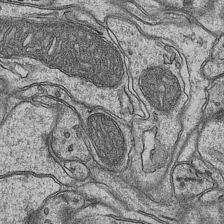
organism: Mouse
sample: CA1 Hippocampus